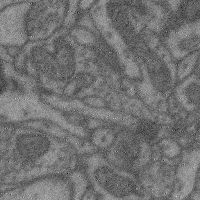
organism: Mouse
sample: Cerebral cortex